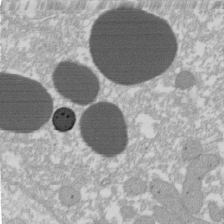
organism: Xenopus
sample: Cilia; centrioles in frog embryo cells